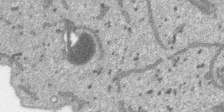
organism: Human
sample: Lung epithelial cells infected with SARS-CoV-2